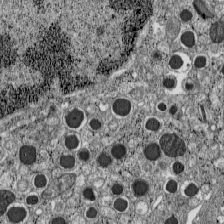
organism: C57BL Mouse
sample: Pancreatic islet